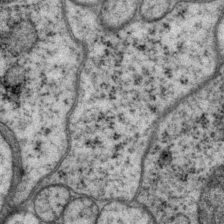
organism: P. pacificus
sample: Pharynx